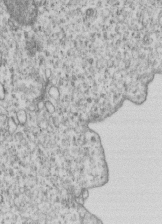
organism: Human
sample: MDA-MB-231 cells